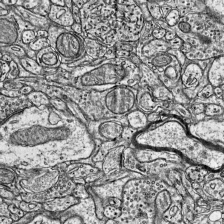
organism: Mouse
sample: Visual Cortex